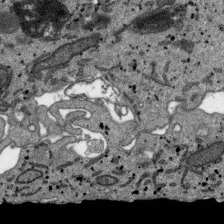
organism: Human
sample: Lung epithelial cells, uninfected (mock) control